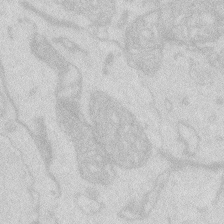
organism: Zebrafish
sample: Macrophage